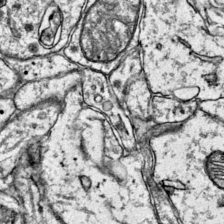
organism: Mouse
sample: Primary visual cortex